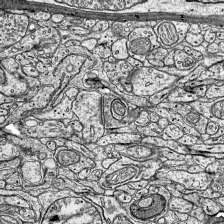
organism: Mouse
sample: Visual Cortex